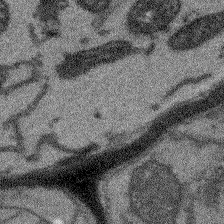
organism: Arabidopsis thaliana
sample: Root tip